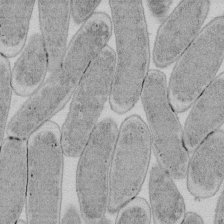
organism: E. coli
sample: Bacterial nucleoid